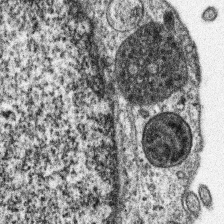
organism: Human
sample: HeLa cells